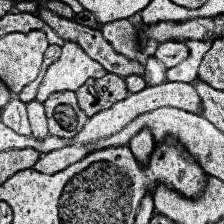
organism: Human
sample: Temporal Lobe